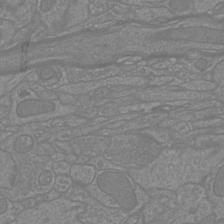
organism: Mouse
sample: Cortical neurons